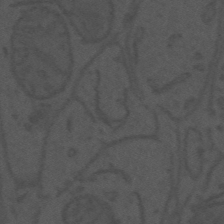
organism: Mouse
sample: Suprachiasmatic nucleus